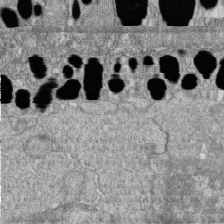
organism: Zebrafish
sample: Cilia; retinal pigment epithelium